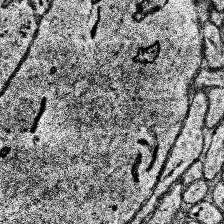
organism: Human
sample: Temporal Lobe